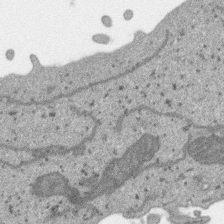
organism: Human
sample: Lung epithelial cells infected with SARS-CoV-2